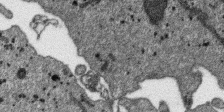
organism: Human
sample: Lung epithelial cells infected with SARS-CoV-2